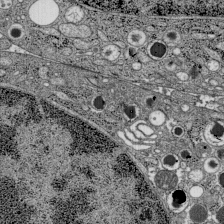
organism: C57BL Mouse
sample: Pancreatic islet